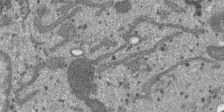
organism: Human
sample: Lung epithelial cells infected with SARS-CoV-2